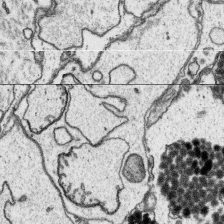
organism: Platynereis dumerilii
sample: Parapodia